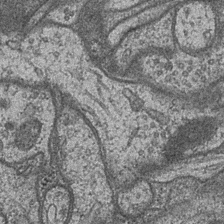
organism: Drosophila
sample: Optic medulla